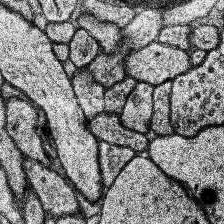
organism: Human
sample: Temporal Lobe